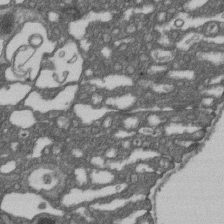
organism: Drosophila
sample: Nephrocyte